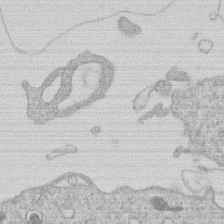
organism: Human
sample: Macrophage cells